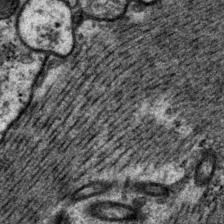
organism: P. pacificus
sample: Pharynx